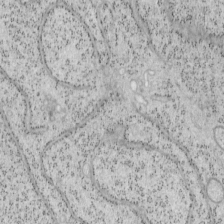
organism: Mouse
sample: OT-I killer T cells with ID8 ovarian cancer cells